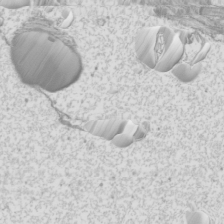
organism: Mouse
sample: Cilia; mouse epididymis